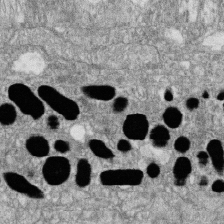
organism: Zebrafish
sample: Cilia; retinal pigment epithelium